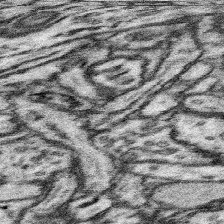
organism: Mouse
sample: Somatosensory cortex neuropil